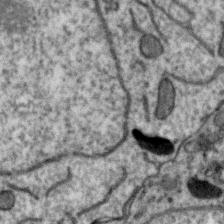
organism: Zebra finch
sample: Brain